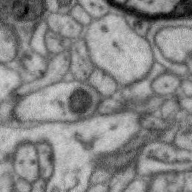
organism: Zebra finch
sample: Brain